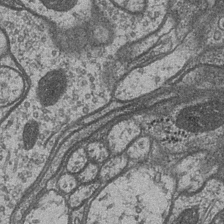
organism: Drosophila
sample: Optic medulla